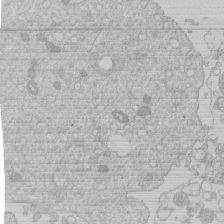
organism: Human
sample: Macrophage cells